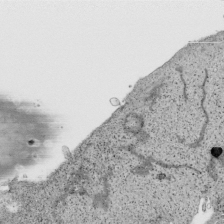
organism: Human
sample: Mitochondria in HCT116 cells